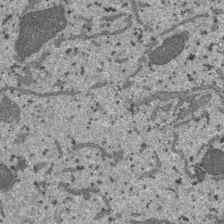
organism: Human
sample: Lung epithelial cells infected with SARS-CoV-2